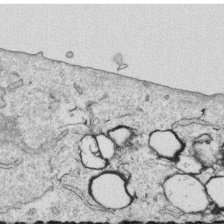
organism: Human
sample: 1205lu cells